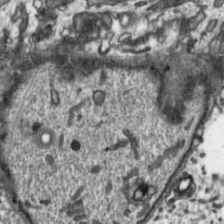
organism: Toxoplasma gondii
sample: Parasites in a vacuole inside a host cell